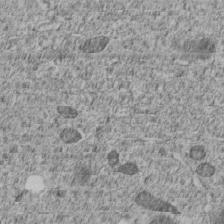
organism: C. elegans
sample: C. elegans embryo early stage